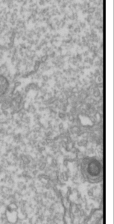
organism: Drosophila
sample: Cell division; meiosis; drosophila spermatocytes